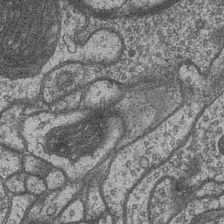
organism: Drosophila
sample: Optic medulla